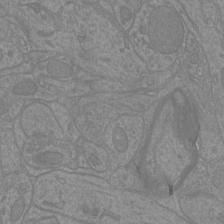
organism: Mouse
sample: Cortical neurons